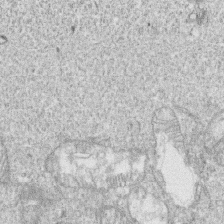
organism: Human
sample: HeLa cell HIV synapse